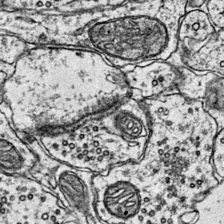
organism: Mouse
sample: Primary visual cortex